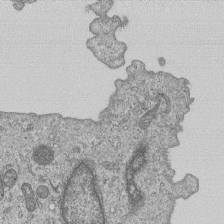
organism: Human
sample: MDA-MB-231 cells